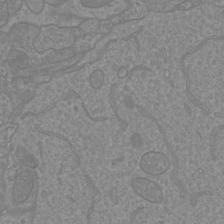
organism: Mouse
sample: Cortical neurons